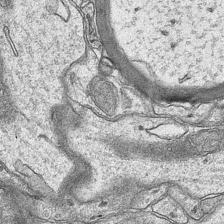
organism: Mouse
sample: CA1 Hippocampus